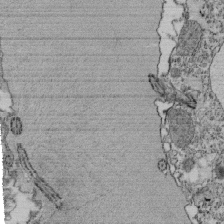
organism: Tetrahymena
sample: Cilia in tetrahymena